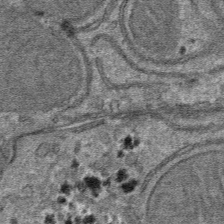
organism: Mouse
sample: Mouse hepatocytes